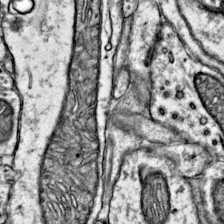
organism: Mouse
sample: Primary visual cortex